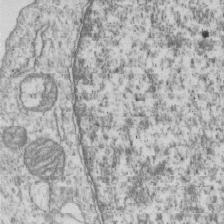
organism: Human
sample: MDA-MB-231 cells